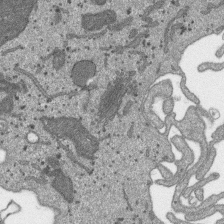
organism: Human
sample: Lung epithelial cells infected with SARS-CoV-2